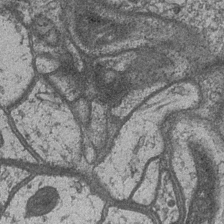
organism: Drosophila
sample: Optic medulla